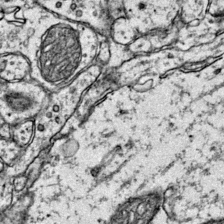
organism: Mouse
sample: Primary visual cortex